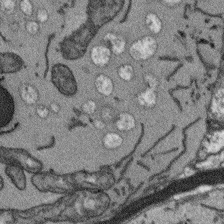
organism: Arabidopsis thaliana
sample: Root tip